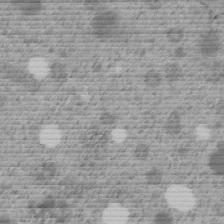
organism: C. elegans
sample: C. elegans embryo early stage